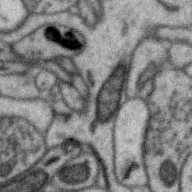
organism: Zebra finch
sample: Brain